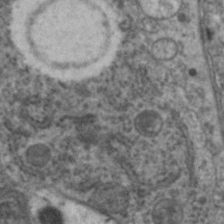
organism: C. elegans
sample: Pharynx